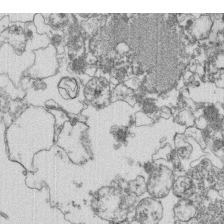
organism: Human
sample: HeLa cell HIV synapse